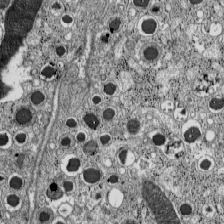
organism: C57BL Mouse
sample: Pancreatic islet